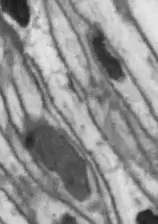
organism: Drosophila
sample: Optic lobe